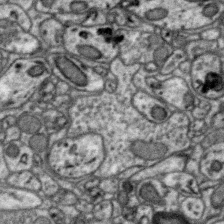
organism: Zebra finch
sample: Brain